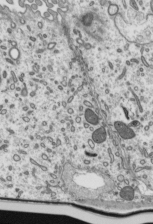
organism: Mouse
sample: Mouse epididymis efferent ductule cilia